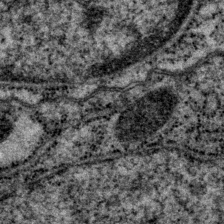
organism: P. pacificus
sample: Pharynx